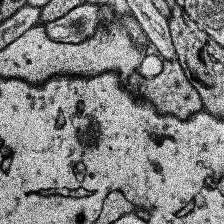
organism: Human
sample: Temporal Lobe